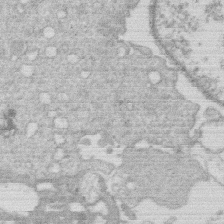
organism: Human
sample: Macrophage cells